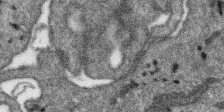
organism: Human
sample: Lung epithelial cells infected with SARS-CoV-2